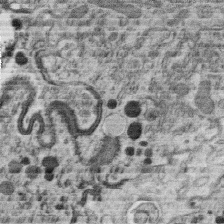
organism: C. elegans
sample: C. elegans oocyte; sperm cells